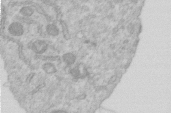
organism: Human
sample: Centriole in RPE cells